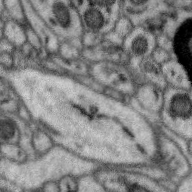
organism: Zebra finch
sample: Brain